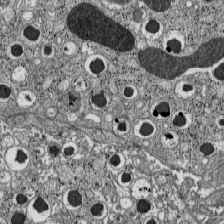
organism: C57BL Mouse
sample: Pancreatic islet